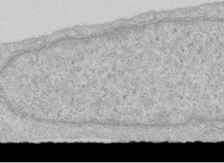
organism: Human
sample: Centriole in RPE cells